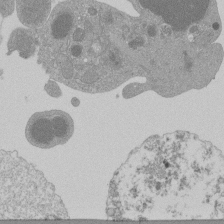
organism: Mouse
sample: Activated Pmel transgenic CD8+ T Cells